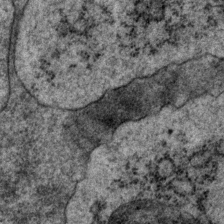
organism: P. pacificus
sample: Pharynx